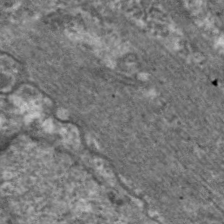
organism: C. elegans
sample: Pharynx